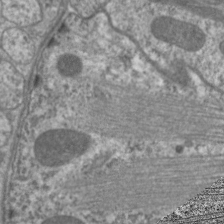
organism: C. elegans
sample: Pharynx